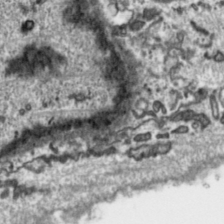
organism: Toxoplasma gondii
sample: Parasites in a vacuole inside a host cell